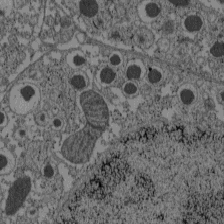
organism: C57BL Mouse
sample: Pancreatic islet